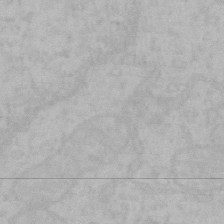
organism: Mouse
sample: Choroid plexus